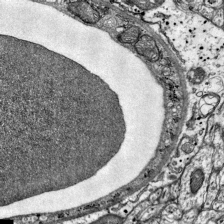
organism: Mouse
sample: Visual Cortex